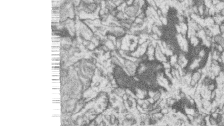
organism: Zebrafish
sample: synaptic ribbons in rod cells and cone cells